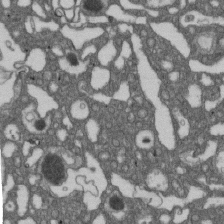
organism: Drosophila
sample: Nephrocyte